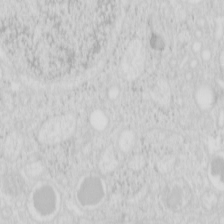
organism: Mouse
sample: Pancreas